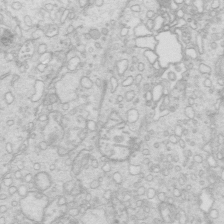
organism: Mouse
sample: Multiciliated cells